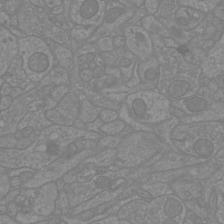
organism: Mouse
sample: Cortical neurons